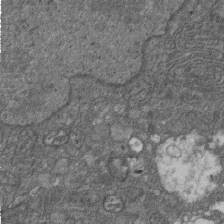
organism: Drosophila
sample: Nephrocyte